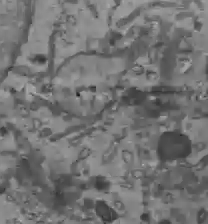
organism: C57BL Mouse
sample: Liver